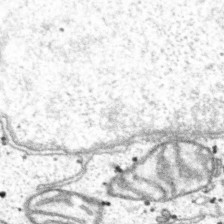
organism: Human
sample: HeLa cells